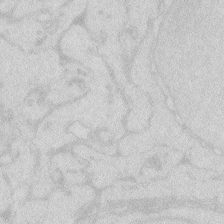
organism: Zebrafish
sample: Macrophage